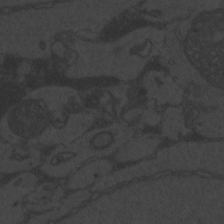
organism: Zebrafish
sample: Macrophage infected with Toxoplasma gondii